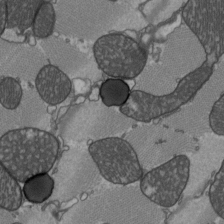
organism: C57BL Mouse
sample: Heart